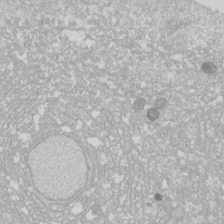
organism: Drosophila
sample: Cell division; meiosis; drosophila spermatocytes